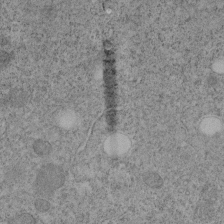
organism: C. elegans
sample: C. elegans embryo early stage